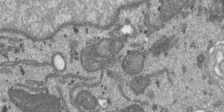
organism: Human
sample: Lung epithelial cells infected with SARS-CoV-2